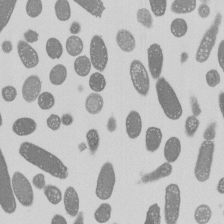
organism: E. coli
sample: Bacterial nucleoid